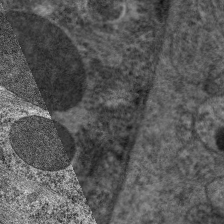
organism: C. elegans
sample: Pharynx